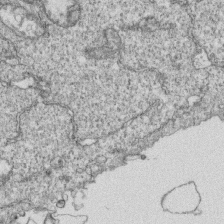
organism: Human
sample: HeLa cell HIV synapse